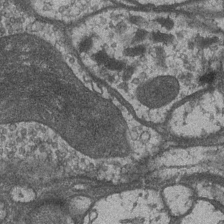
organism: Drosophila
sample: Optic medulla